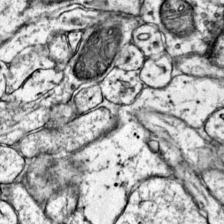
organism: Mouse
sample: Primary visual cortex